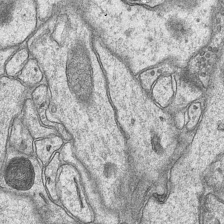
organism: Mouse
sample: CA1 Hippocampus